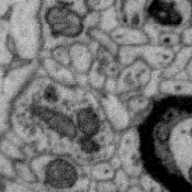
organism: Zebra finch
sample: Brain